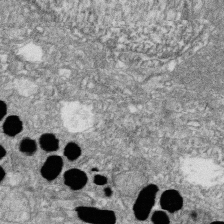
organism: Zebrafish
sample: Cilia; retinal pigment epithelium